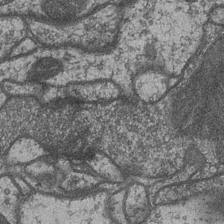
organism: Drosophila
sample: Optic medulla